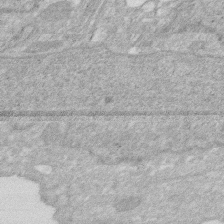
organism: Human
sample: HIV infected U937 cells